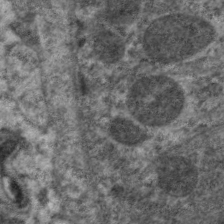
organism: C. elegans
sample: Pharynx